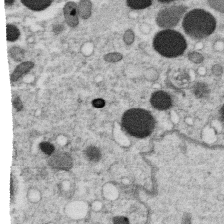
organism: C. elegans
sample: C. elegans oocyte; sperm cells